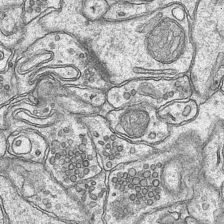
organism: Mouse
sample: CA1 Hippocampus